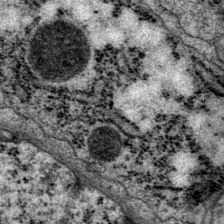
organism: P. pacificus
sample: Pharynx